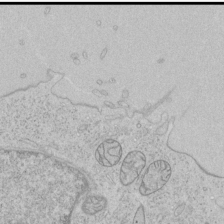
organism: Human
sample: Mitochondria in HCT116 cells